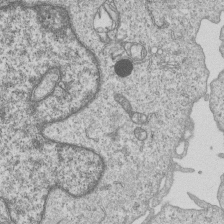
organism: Human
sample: MDA-MB-231 cells